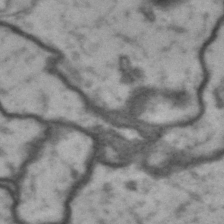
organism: Drosophila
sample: Brain